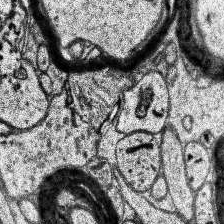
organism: Human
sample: Temporal Lobe